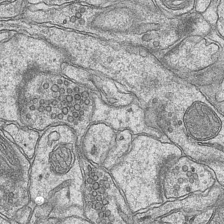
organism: Mouse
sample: CA1 Hippocampus